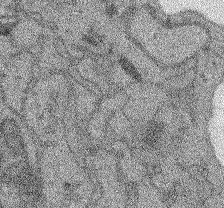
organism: Human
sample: HeLa cells